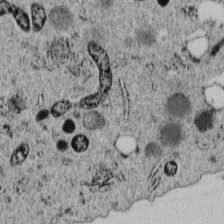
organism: C. elegans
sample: C. elegans embryo early stage